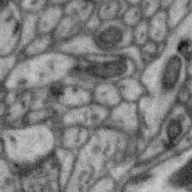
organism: Zebra finch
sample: Brain